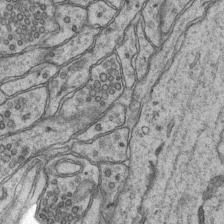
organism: Mouse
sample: CA1 Hippocampus